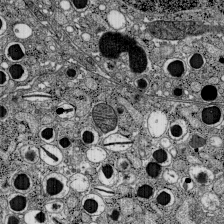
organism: C57BL Mouse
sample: Pancreatic islet